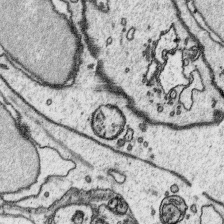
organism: Platynereis dumerilii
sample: Parapodia